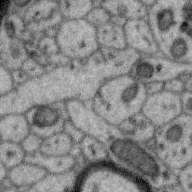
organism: Zebra finch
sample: Brain